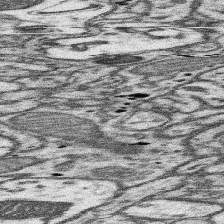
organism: Mouse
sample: Somatosensory cortex neuropil